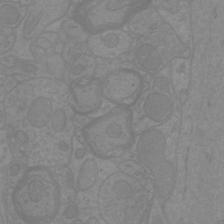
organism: Mouse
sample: Cortical neurons